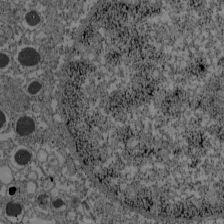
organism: C57BL Mouse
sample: Pancreatic islet